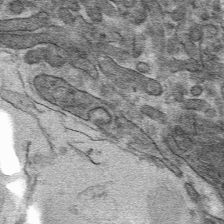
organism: Mouse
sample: Mouse hepatocytes